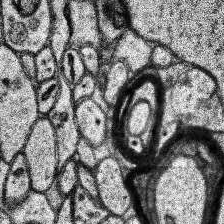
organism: Human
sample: Temporal Lobe